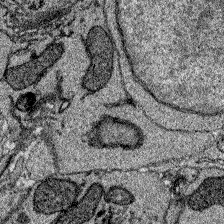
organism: Zebrafish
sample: Larval olfactory bulb